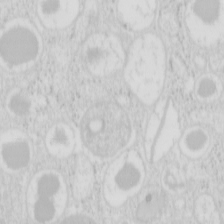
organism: Mouse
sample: Pancreas